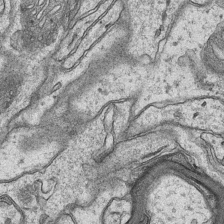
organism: Mouse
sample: CA1 Hippocampus